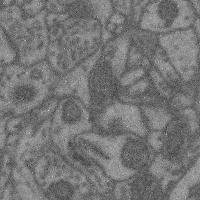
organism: Mouse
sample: Cerebral cortex